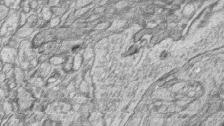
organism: Zebrafish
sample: synaptic ribbons in rod cells and cone cells